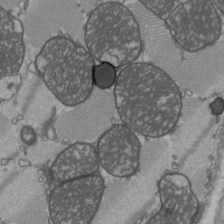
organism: C57BL Mouse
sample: Heart